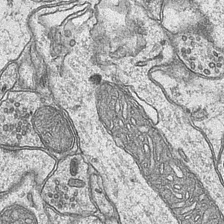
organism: Mouse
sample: CA1 Hippocampus